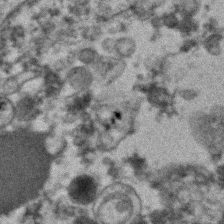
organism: Human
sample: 1205lu cells